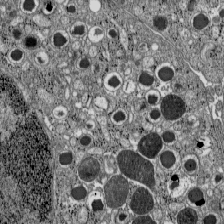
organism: C57BL Mouse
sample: Pancreatic islet